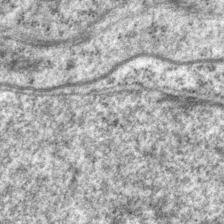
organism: P. pacificus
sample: Pharynx